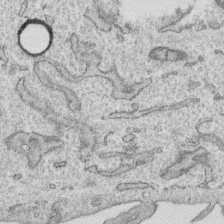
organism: Human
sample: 1205lu cells